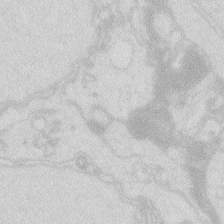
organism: Zebrafish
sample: Macrophage